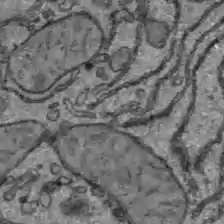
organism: C57BL Mouse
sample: Liver